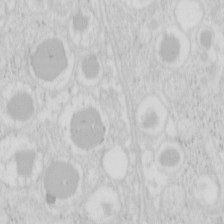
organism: Mouse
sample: Pancreas